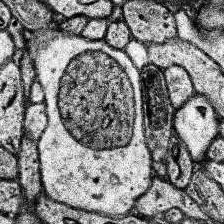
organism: Human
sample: Temporal Lobe